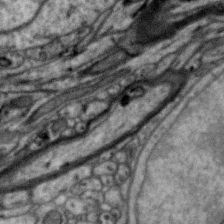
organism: Zebra finch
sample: Brain